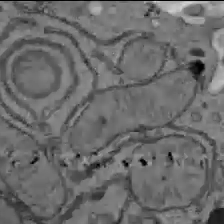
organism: C57BL Mouse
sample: Liver